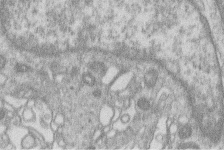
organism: Human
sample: Macrophage cells